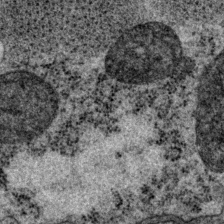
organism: P. pacificus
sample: Pharynx